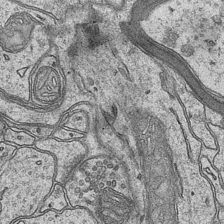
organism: Mouse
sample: CA1 Hippocampus